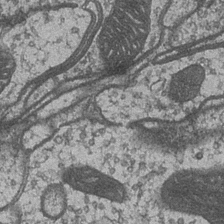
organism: Drosophila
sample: Optic medulla